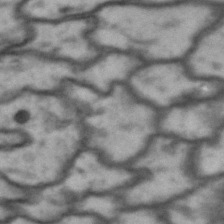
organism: Drosophila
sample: Brain